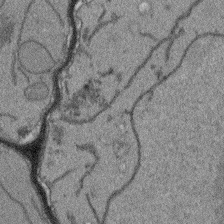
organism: Arabidopsis thaliana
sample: Root tip